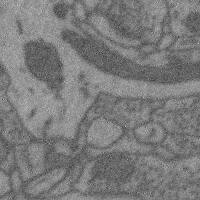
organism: Mouse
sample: Cerebral cortex